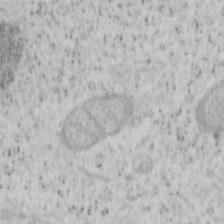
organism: Human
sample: HeLa cells